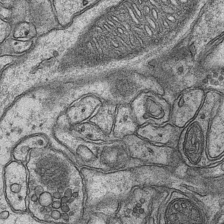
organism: Mouse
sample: CA1 Hippocampus